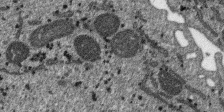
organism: Human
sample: Lung epithelial cells infected with SARS-CoV-2